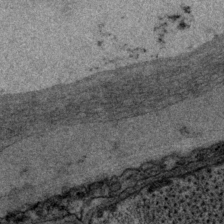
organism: P. pacificus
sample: Pharynx